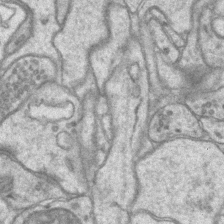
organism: Mouse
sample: CA1 Hippocampus